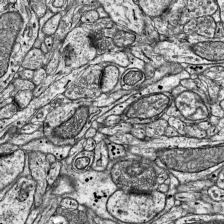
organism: Mouse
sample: Visual Cortex